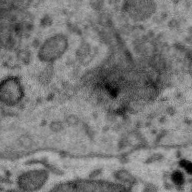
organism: Zebra finch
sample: Brain